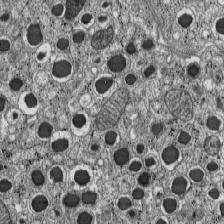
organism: C57BL Mouse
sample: Pancreatic islet